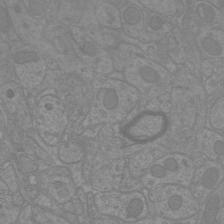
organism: Mouse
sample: Cortical neurons